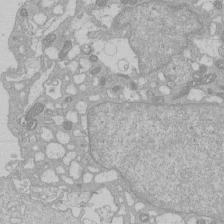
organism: Human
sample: Macrophage cells